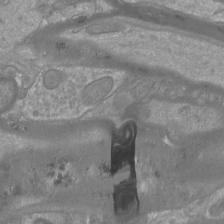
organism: Mouse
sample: Cortical neurons